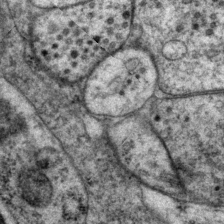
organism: P. pacificus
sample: Pharynx